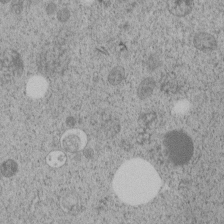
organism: C. elegans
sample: C. elegans embryo early stage